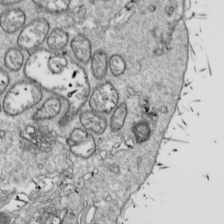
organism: Drosophila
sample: Cell division; meiosis; drosophila spermatocytes